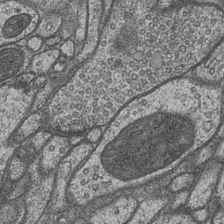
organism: Drosophila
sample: Optic medulla